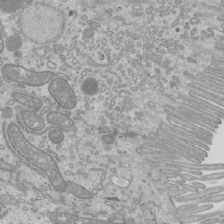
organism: Mouse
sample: Cilia; mouse epididymis